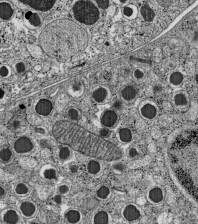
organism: C57BL Mouse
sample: Pancreatic islet